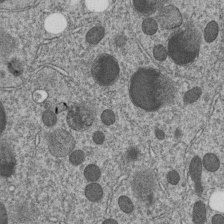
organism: C. elegans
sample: C. elegans embryo early stage